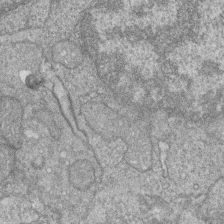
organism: Zebrafish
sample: Cilia; retinal pigment epithelium